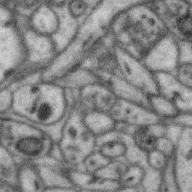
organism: Zebra finch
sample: Brain